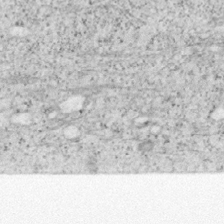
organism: Mouse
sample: OT-I killer T cells with ID8 ovarian cancer cells